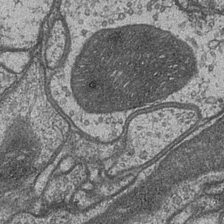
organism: Drosophila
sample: Optic medulla